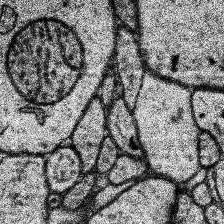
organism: Human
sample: Temporal Lobe